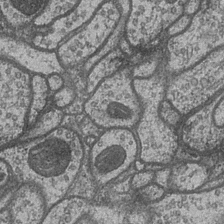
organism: Drosophila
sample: Optic medulla